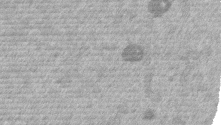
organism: Mouse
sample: Dividing mouse embryo 1 cell stage